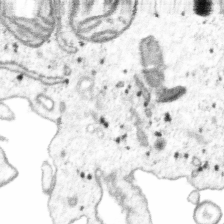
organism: Human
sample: HeLa cells